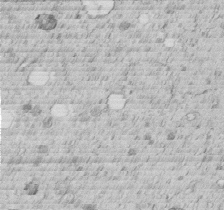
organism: C. elegans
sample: C. elegans embryo early stage